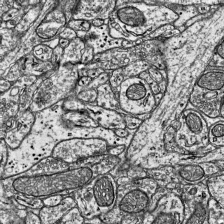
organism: Mouse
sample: Visual Cortex